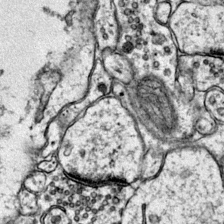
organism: Mouse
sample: Primary visual cortex